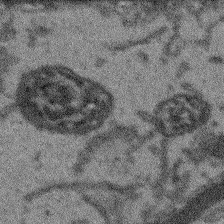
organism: Arabidopsis thaliana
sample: Root tip